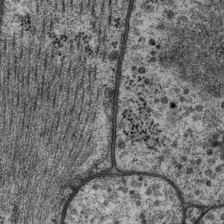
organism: P. pacificus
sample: Pharynx